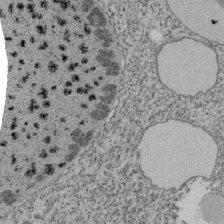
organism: Tetrahymena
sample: Cilia in tetrahymena